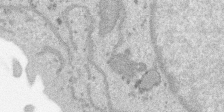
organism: Human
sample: Lung epithelial cells infected with SARS-CoV-2